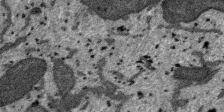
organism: Human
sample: Lung epithelial cells, uninfected (mock) control